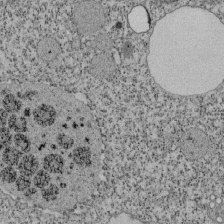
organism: Tetrahymena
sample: Cilia in tetrahymena